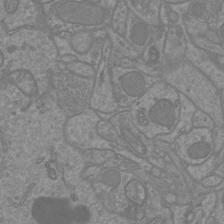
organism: Mouse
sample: Cortical neurons